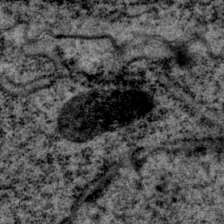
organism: P. pacificus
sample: Pharynx